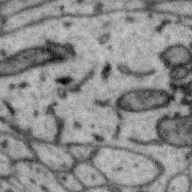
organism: Zebra finch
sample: Brain